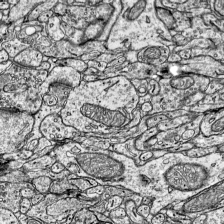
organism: Mouse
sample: Visual Cortex